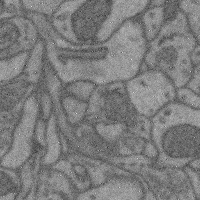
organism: Mouse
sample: Cerebral cortex